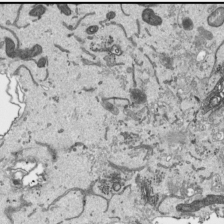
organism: Human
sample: Mitochondria in HCT116 cells